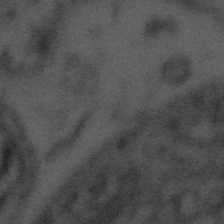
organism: Tuwongella immobilis